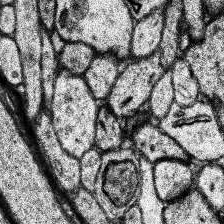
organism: Human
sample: Temporal Lobe